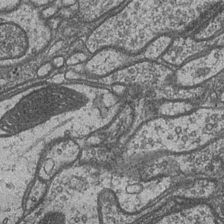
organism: Drosophila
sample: Optic medulla